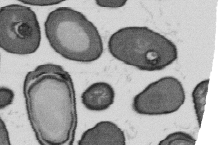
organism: B. subtilis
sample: Bacterial spore